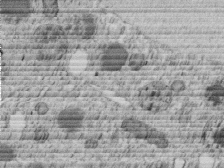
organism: C. elegans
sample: C. elegans embryo early stage